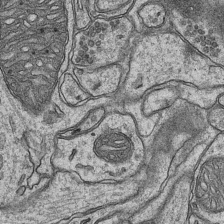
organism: Mouse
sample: CA1 Hippocampus